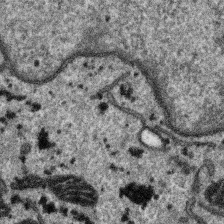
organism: Human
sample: Lung epithelial cells infected with SARS-CoV-2